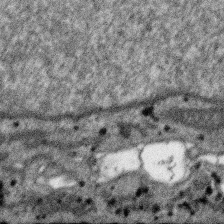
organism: Human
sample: Lung epithelial cells infected with SARS-CoV-2